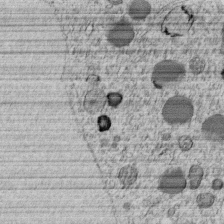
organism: C. elegans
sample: C. elegans embryo early stage